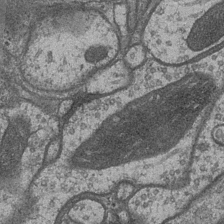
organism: Drosophila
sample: Optic medulla